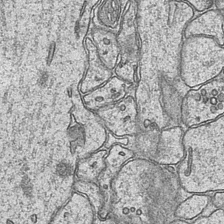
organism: Mouse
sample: CA1 Hippocampus